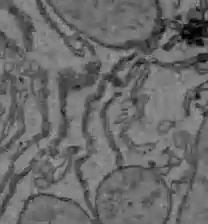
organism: C57BL Mouse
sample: Liver